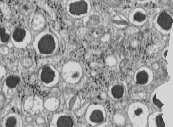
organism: C57BL Mouse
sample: Pancreatic islet